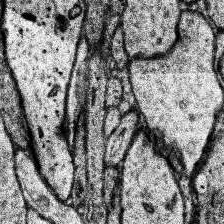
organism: Human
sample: Temporal Lobe